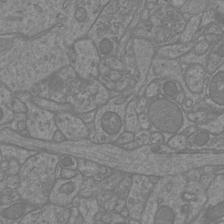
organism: Mouse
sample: Cortical neurons